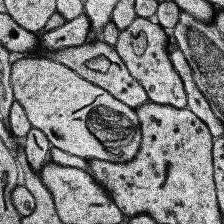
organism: Human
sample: Temporal Lobe